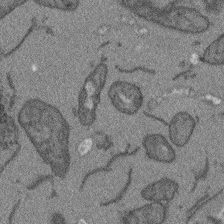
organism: Arabidopsis thaliana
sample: Root tip